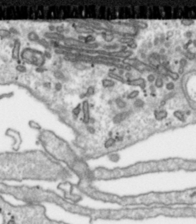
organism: Toxoplasma gondii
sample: Parasites in a vacuole inside a host cell